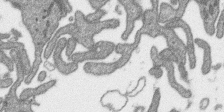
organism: Human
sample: Lung epithelial cells infected with SARS-CoV-2